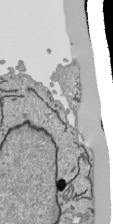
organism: Human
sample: Mitochondria in HCT116 cells